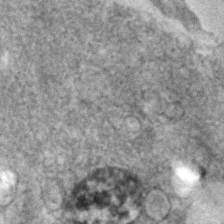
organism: Human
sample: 1205lu cells